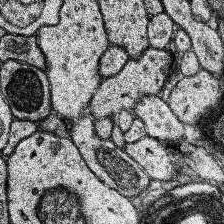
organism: Human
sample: Temporal Lobe